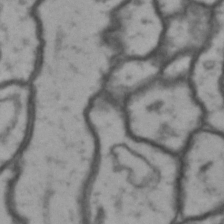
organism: Drosophila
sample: Brain